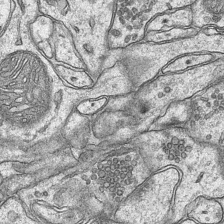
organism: Mouse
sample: CA1 Hippocampus